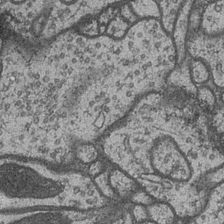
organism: Drosophila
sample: Optic medulla